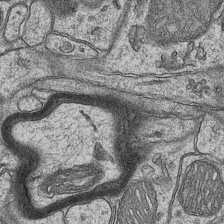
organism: Mouse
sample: CA1 Hippocampus